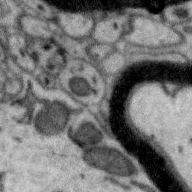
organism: Zebra finch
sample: Brain